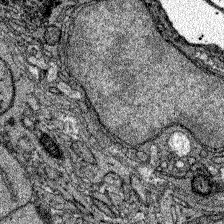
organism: Zebrafish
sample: Larval olfactory bulb